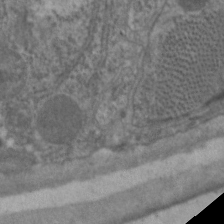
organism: C. elegans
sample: Pharynx